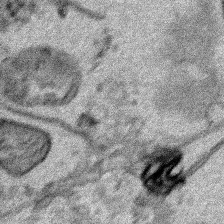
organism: Human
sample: Mitochondria in HCT116 cells